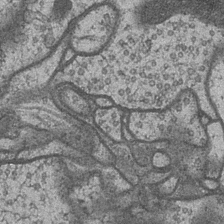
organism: Drosophila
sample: Optic medulla